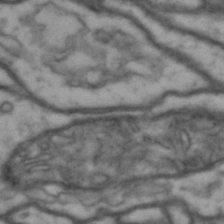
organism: Drosophila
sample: Brain